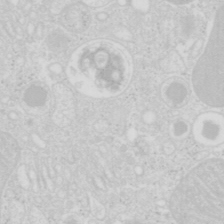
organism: Mouse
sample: Pancreas